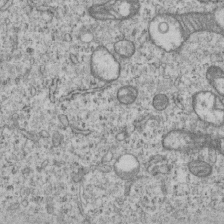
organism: Human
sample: MDA-MB-231 cells